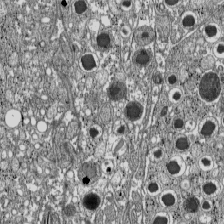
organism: C57BL Mouse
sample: Pancreatic islet